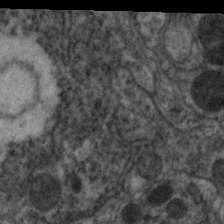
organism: C. elegans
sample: Pharynx